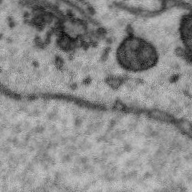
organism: Zebra finch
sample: Brain